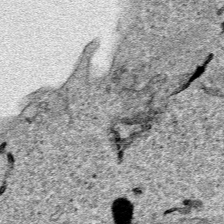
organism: Human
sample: Mitochondria in HCT116 cells